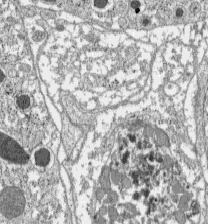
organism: C57BL Mouse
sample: Pancreatic islet